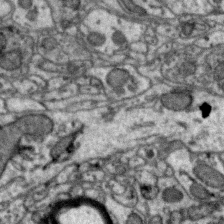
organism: Zebra finch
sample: Brain